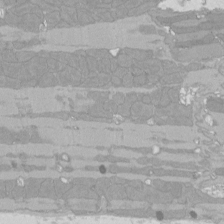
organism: Rat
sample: Left ventricle